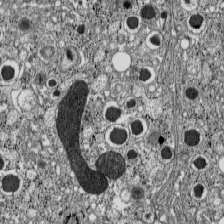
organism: C57BL Mouse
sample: Pancreatic islet